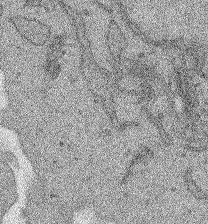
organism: Human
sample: HeLa cells